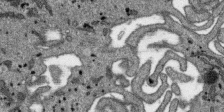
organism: Human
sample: Lung epithelial cells, uninfected (mock) control